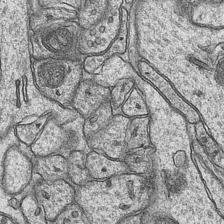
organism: Mouse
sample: CA1 Hippocampus